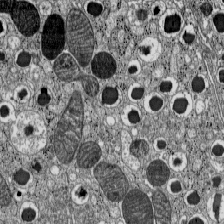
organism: C57BL Mouse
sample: Pancreatic islet